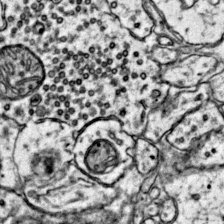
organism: Mouse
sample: Primary visual cortex